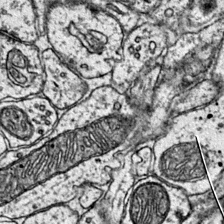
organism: Mouse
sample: Primary visual cortex